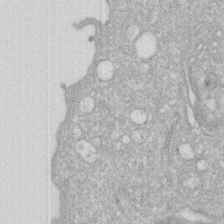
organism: Human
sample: HIV infected U937 cells